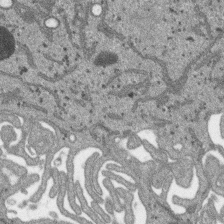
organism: Human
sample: Lung epithelial cells infected with SARS-CoV-2